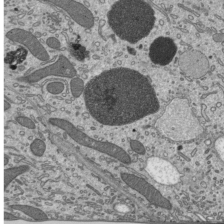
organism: Mouse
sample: Mouse epididymis efferent ductule cilia